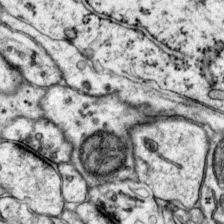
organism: Mouse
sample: Primary visual cortex